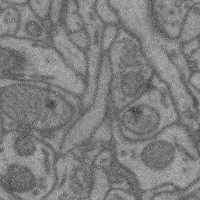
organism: Mouse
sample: Cerebral cortex